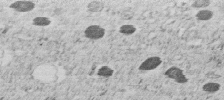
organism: C. elegans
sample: C. elegans embryo early stage